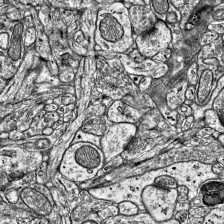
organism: Mouse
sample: Visual Cortex